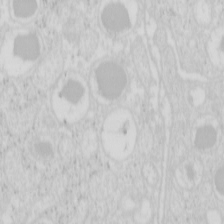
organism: Mouse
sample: Pancreas